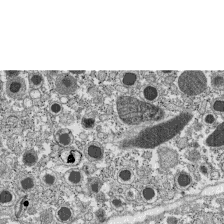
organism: C57BL Mouse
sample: Pancreatic islet